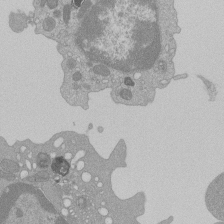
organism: Mouse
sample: Activated Pmel transgenic CD8+ T Cells